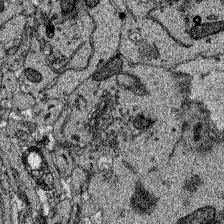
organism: Zebrafish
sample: Larval olfactory bulb